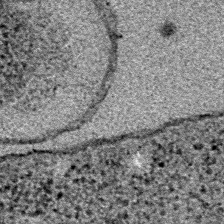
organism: E. coli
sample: E. Coli Bacteria